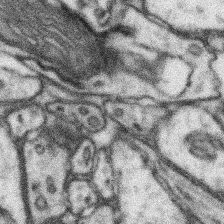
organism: Mouse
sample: Somatosensory cortex neuropil